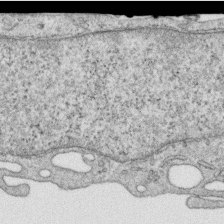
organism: Human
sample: Centriole in RPE cells